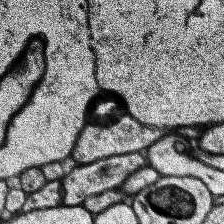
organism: Human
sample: Temporal Lobe